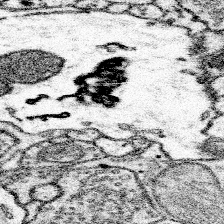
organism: Mouse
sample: Somatosensory cortex neuropil